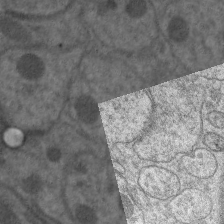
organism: C. elegans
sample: Pharynx